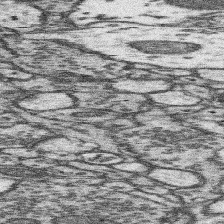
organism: Mouse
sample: Somatosensory cortex neuropil